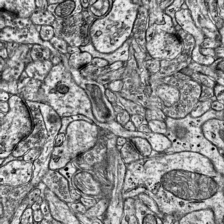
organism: Mouse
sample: Visual Cortex